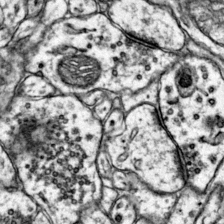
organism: Mouse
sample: Primary visual cortex